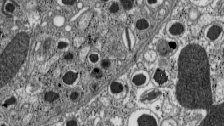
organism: C57BL Mouse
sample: Pancreatic islet